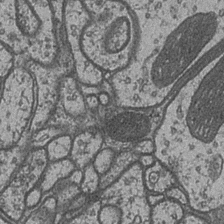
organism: Drosophila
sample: Optic medulla